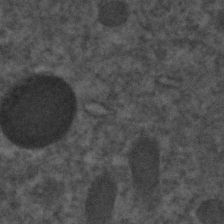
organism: C. elegans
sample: C. elegans embryo